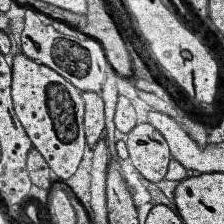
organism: Human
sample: Temporal Lobe